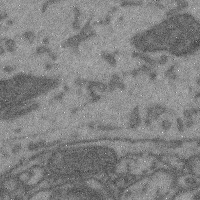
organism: Mouse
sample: Cerebral cortex